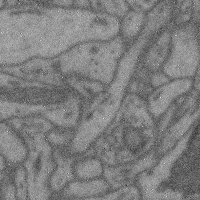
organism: Mouse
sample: Cerebral cortex